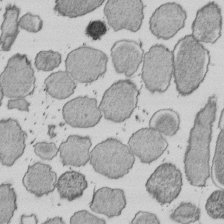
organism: E. coli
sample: Bacterial nucleoid